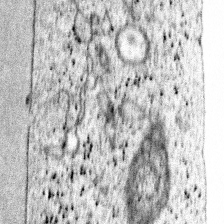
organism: Human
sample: HeLa cells